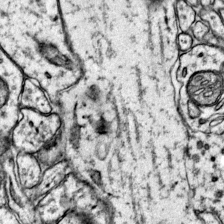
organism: Mouse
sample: Primary visual cortex